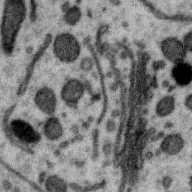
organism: Zebra finch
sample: Brain